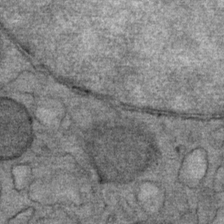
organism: Mouse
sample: Mouse Salivary gland